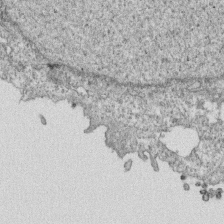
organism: Human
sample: HeLa cell HIV synapse